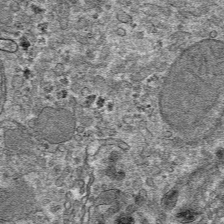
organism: Mouse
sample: Mouse hepatocytes